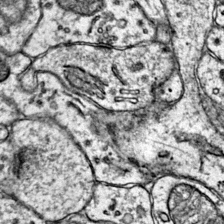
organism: Mouse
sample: Primary visual cortex